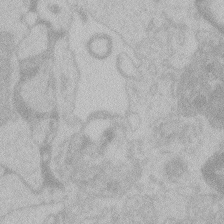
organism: Zebrafish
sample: Macrophage infected with Toxoplasma gondii